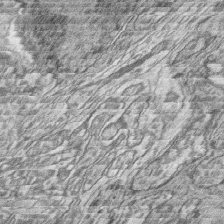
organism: Zebrafish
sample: synaptic ribbons in rod cells and cone cells